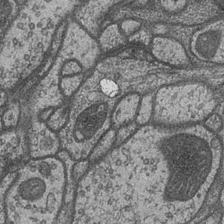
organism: Drosophila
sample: Optic medulla